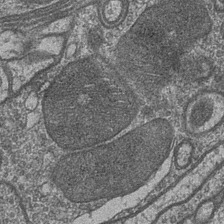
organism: Drosophila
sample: Optic medulla